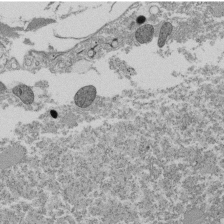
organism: Tetrahymena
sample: Cilia in tetrahymena